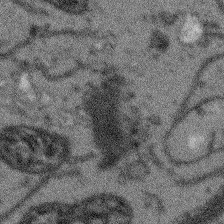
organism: Arabidopsis thaliana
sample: Root tip